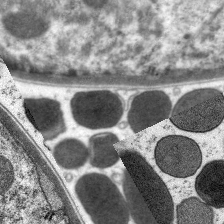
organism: C. elegans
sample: Pharynx